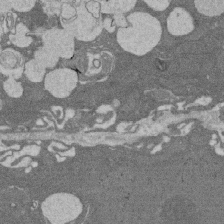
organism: Rat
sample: Salivary granule